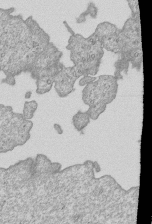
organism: Human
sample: MDA-MB-231 cells